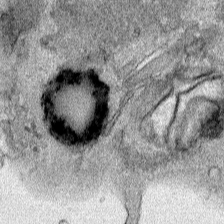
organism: Human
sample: Mitochondria in HCT116 cells